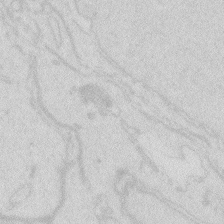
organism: Zebrafish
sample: Macrophage